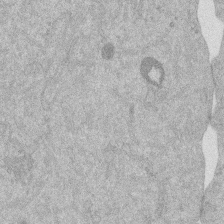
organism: Mouse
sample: Dividing mouse embryo 1 cell stage